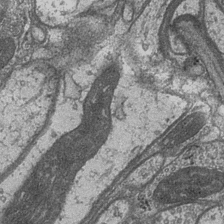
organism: Drosophila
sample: Optic medulla